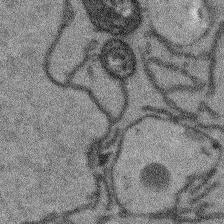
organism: Arabidopsis thaliana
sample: Root tip